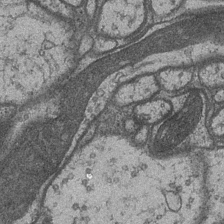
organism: Drosophila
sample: Optic medulla